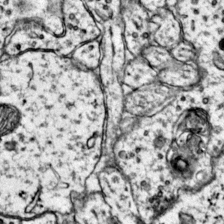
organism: Mouse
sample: Primary visual cortex